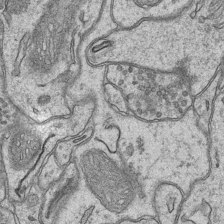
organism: Mouse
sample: CA1 Hippocampus